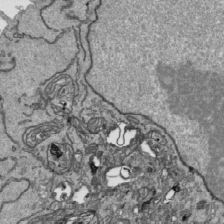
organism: Human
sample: Mitochondria in HCT116 cells